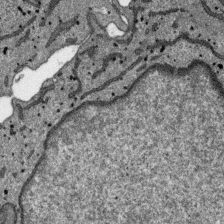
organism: Human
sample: Lung epithelial cells, uninfected (mock) control